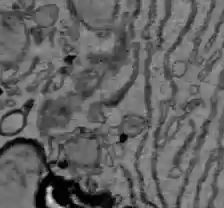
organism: C57BL Mouse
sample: Liver